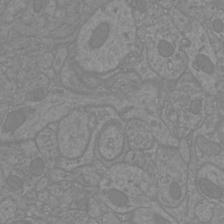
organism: Mouse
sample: Cortical neurons